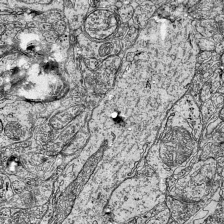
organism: Mouse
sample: Visual Cortex